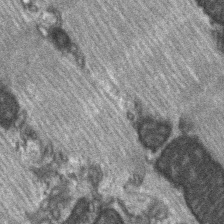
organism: C57BL Mouse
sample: Soleus